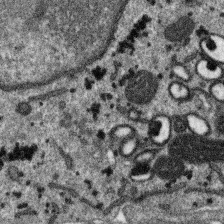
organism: Human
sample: Lung epithelial cells infected with SARS-CoV-2